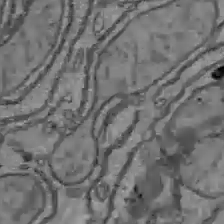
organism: C57BL Mouse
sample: Liver